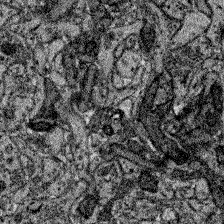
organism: Zebrafish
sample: Larval olfactory bulb